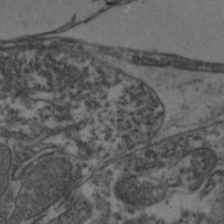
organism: Zebrafish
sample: Zebrafish embryo